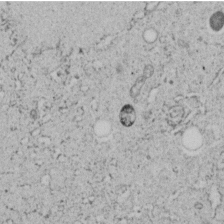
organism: C. elegans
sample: C. elegans embryo early stage